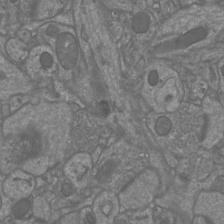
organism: Mouse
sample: Cortical neurons